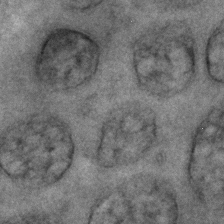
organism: C. elegans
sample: C. elegans embryo